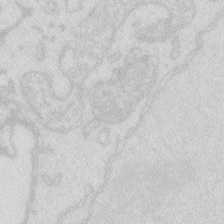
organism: Zebrafish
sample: Macrophage